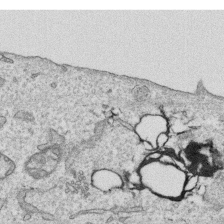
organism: Human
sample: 1205lu cells